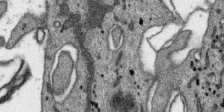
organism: Human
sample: Lung epithelial cells, uninfected (mock) control